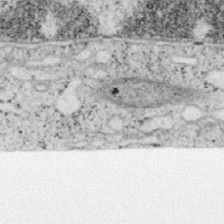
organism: Mouse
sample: OT-I killer T cells with ID8 ovarian cancer cells